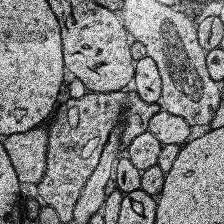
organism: Human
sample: Temporal Lobe